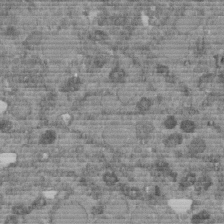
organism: C. elegans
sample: C. elegans embryo early stage